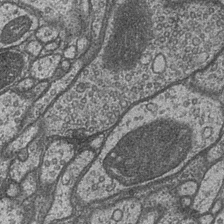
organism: Drosophila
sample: Optic medulla